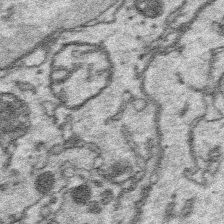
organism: Platynereis dumerilii